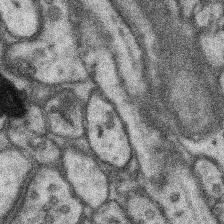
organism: Mouse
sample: Somatosensory cortex neuropil